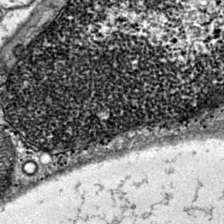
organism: Mouse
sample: Primary visual cortex